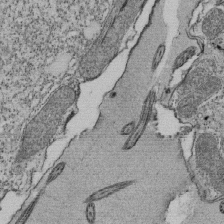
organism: Tetrahymena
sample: Cilia in tetrahymena